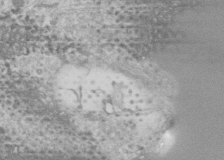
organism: Human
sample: Cilia; basal body in RPE cells